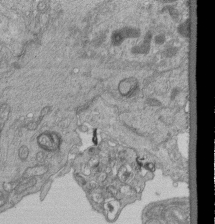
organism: Human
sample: Retinal organoid Rod and Cone cells